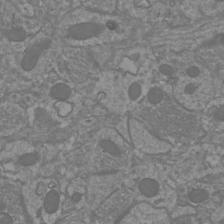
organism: Mouse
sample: Cortical neurons